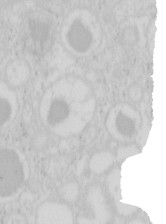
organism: Mouse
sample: Pancreas